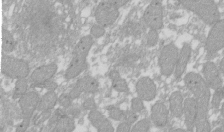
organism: Xenopus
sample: Cilia; centrioles in frog embryo cells